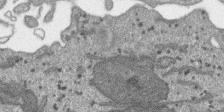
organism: Human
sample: Lung epithelial cells infected with SARS-CoV-2